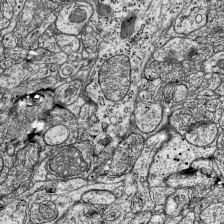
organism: Mouse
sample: Visual Cortex